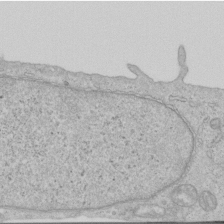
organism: Human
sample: Centriole in RPE cells